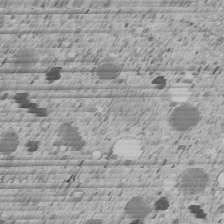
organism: C. elegans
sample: C. elegans embryo early stage